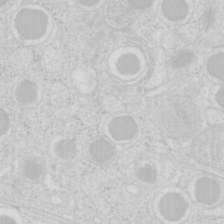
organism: Mouse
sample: Pancreas